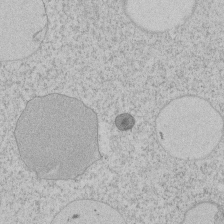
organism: Tetrahymena